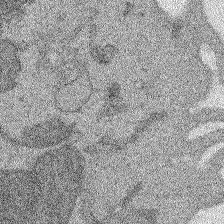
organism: Human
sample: HeLa cells